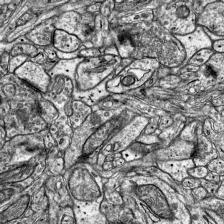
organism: Mouse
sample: Visual Cortex